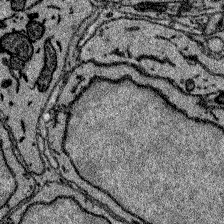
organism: Zebrafish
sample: Larval olfactory bulb